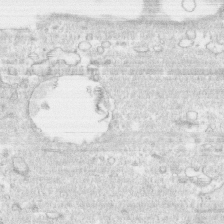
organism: Human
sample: CRL-1474